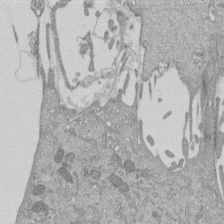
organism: Mouse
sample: ED-1 cell nuclei; centrioles